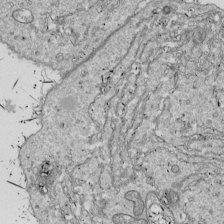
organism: Drosophila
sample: Cell division; meiosis; drosophila spermatocytes